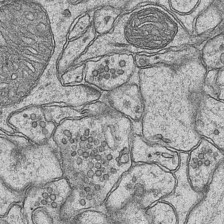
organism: Mouse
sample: CA1 Hippocampus